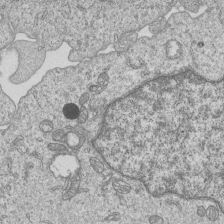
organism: Human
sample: MDA-MB-231 cells